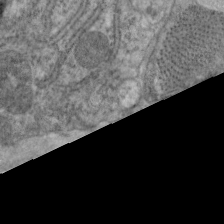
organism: C. elegans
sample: Pharynx